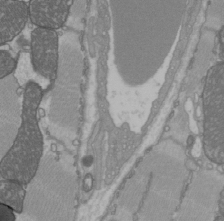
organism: C57BL Mouse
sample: Heart